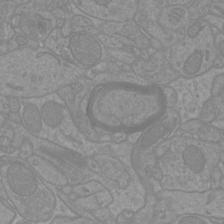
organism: Mouse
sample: Cortical neurons